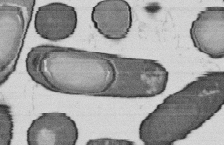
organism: B. subtilis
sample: Bacterial spore